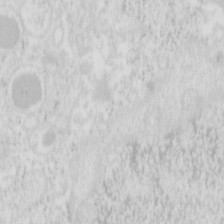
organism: Mouse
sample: Pancreas